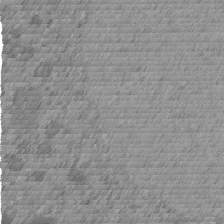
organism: C. elegans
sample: C. elegans embryo early stage